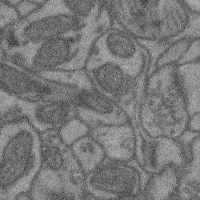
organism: Mouse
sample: Cerebral cortex